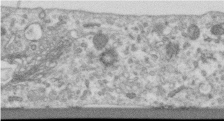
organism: Human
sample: Centriole in RPE cells